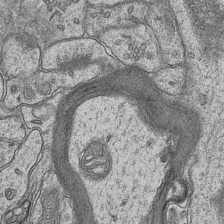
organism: Mouse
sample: CA1 Hippocampus